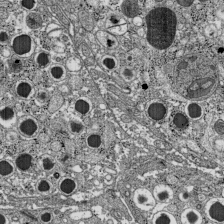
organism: C57BL Mouse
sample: Pancreatic islet